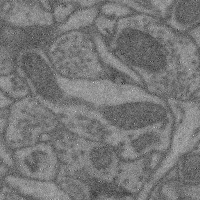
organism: Mouse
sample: Cerebral cortex